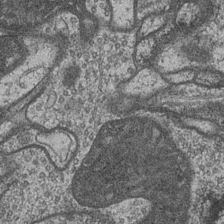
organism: Drosophila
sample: Optic medulla